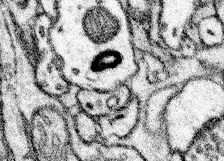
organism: Mouse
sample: Somatosensory cortex neuropil